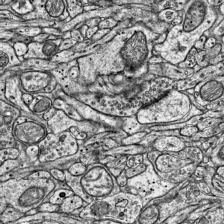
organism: Mouse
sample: Visual Cortex